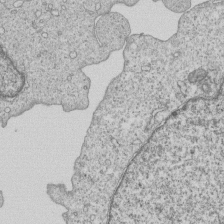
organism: Human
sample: MDA-MB-231 cells